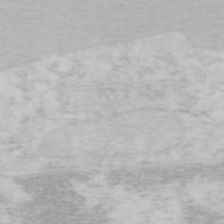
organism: Mouse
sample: OT-I killer T cells with ID8 ovarian cancer cells